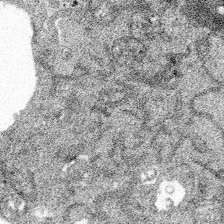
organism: Spongilla lacustris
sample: Multiple